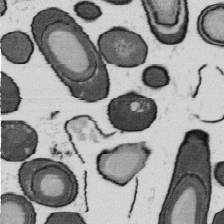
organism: B. subtilis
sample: Bacterial spore